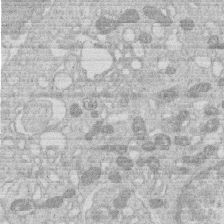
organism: Human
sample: Macrophage cells